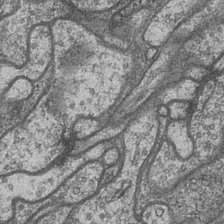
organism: Drosophila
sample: Optic medulla